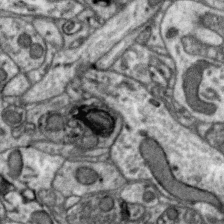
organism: Zebra finch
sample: Brain